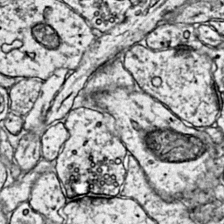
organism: Mouse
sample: Primary visual cortex